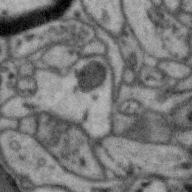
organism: Zebra finch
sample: Brain